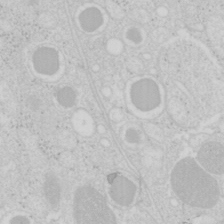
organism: Mouse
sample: Pancreas